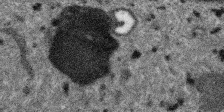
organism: Human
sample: Lung epithelial cells infected with SARS-CoV-2